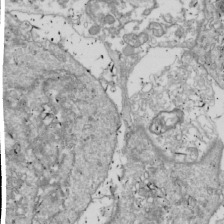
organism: Drosophila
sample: Cell division; meiosis; drosophila spermatocytes